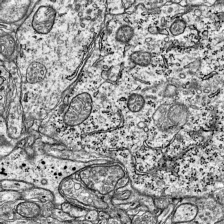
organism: Mouse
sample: Visual Cortex